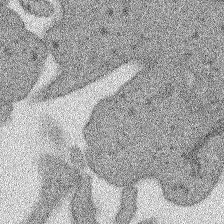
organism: Human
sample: HeLa cells